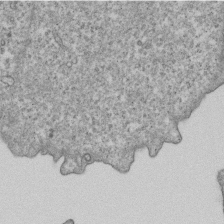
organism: Human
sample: MDA-MB-231 cells